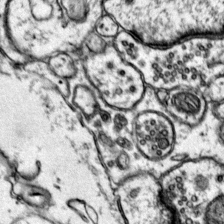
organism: Mouse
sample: Primary visual cortex